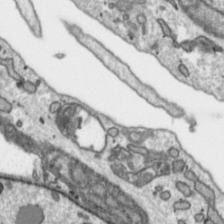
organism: Toxoplasma gondii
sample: Parasites in a vacuole inside a host cell